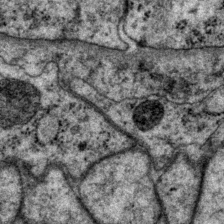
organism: P. pacificus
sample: Pharynx